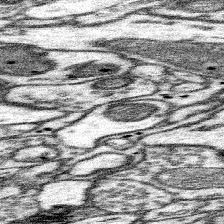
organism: Mouse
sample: Somatosensory cortex neuropil